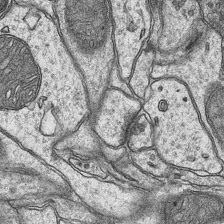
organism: Mouse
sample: CA1 Hippocampus